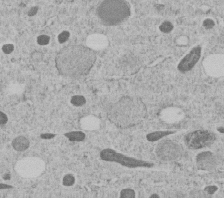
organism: C. elegans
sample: C. elegans embryo early stage